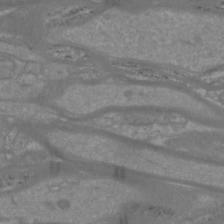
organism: Mouse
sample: Cortical neurons